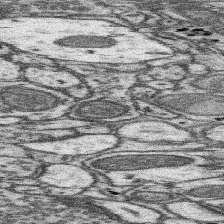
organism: Mouse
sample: Somatosensory cortex neuropil